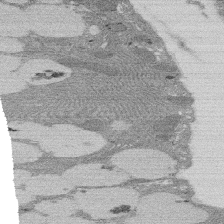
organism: Rat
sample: Salivary granule